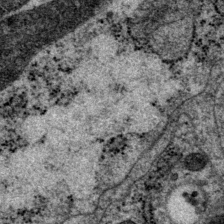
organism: P. pacificus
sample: Pharynx